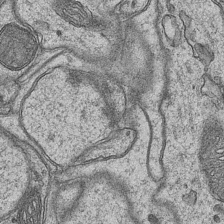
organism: Mouse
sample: CA1 Hippocampus